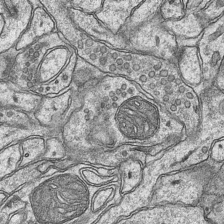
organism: Mouse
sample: CA1 Hippocampus